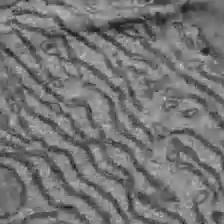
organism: C57BL Mouse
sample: Liver